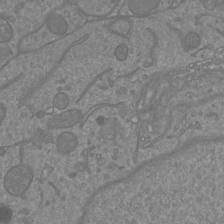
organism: Mouse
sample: Cortical neurons